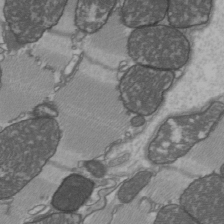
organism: C57BL Mouse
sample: Heart